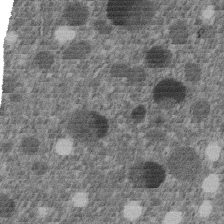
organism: C. elegans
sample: C. elegans embryo early stage